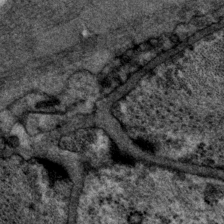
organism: P. pacificus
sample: Pharynx